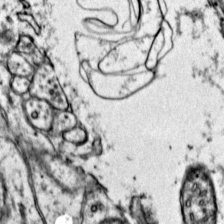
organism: Mouse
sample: Primary visual cortex